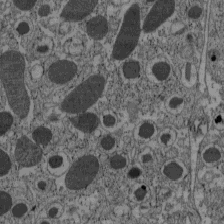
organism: C57BL Mouse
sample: Pancreatic islet